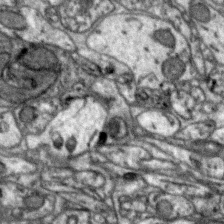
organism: Zebra finch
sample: Brain